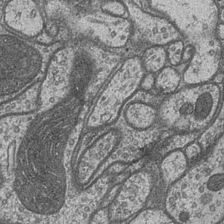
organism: Drosophila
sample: Optic medulla